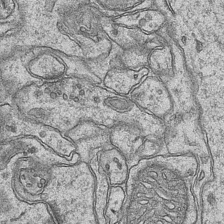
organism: Mouse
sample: CA1 Hippocampus